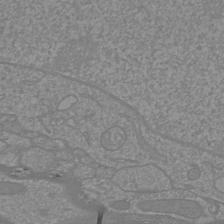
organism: Mouse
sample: Cortical neurons